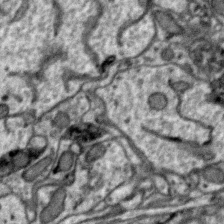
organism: Zebra finch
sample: Brain